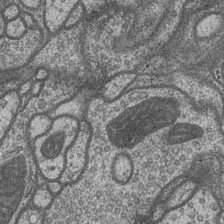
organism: Drosophila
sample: Optic medulla